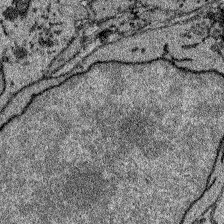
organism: Zebrafish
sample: Larval olfactory bulb